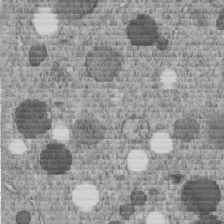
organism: C. elegans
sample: C. elegans embryo early stage